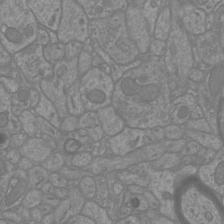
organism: Mouse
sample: Cortical neurons